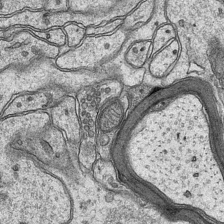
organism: Mouse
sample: CA1 Hippocampus